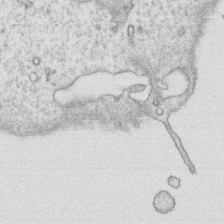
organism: Human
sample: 1205lu cells